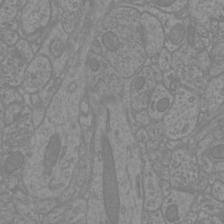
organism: Mouse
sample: Cortical neurons